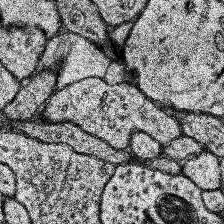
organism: Human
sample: Temporal Lobe